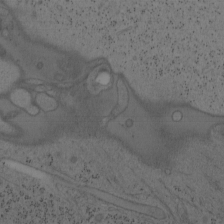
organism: Mouse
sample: OT-I killer T cells with ID8 ovarian cancer cells